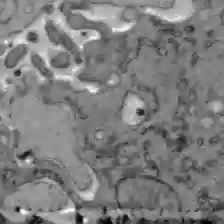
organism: C57BL Mouse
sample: Liver